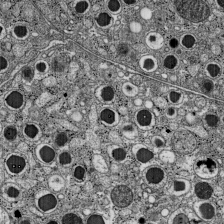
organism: C57BL Mouse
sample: Pancreatic islet